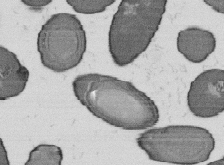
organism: B. subtilis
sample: Bacterial spore